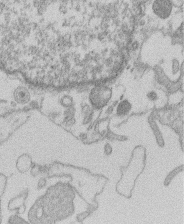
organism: Human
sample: Macrophage cells